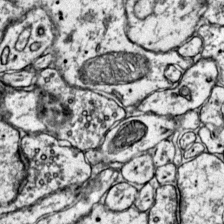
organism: Mouse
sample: Primary visual cortex